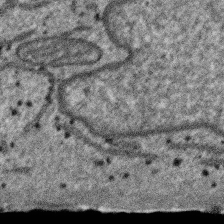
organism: Human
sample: Lung epithelial cells infected with SARS-CoV-2